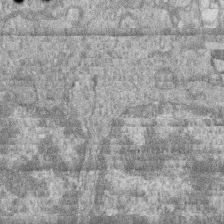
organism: Zebrafish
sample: Cilia; retinal pigment epithelium